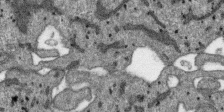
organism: Human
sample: Lung epithelial cells, uninfected (mock) control